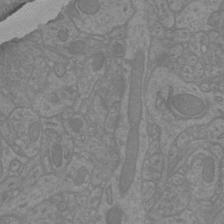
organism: Mouse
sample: Cortical neurons